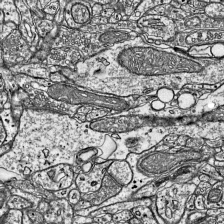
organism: Mouse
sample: Visual Cortex